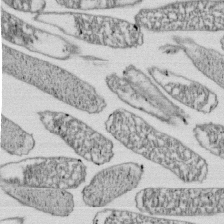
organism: E. coli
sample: Bacterial nucleoid